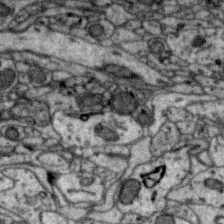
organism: Zebra finch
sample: Brain